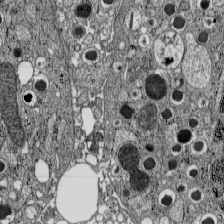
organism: C57BL Mouse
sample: Pancreatic islet